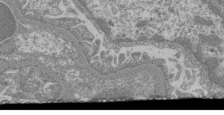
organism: Mouse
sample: Glomerulus